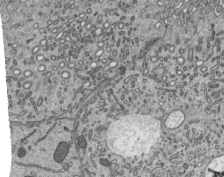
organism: Mouse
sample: Mouse epididymis efferent ductule cilia